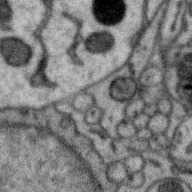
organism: Zebra finch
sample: Brain